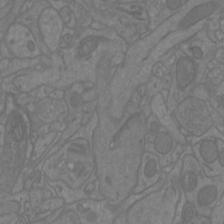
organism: Mouse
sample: Cortical neurons